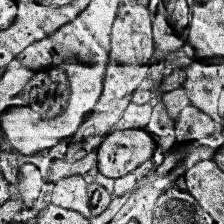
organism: Human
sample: Temporal Lobe